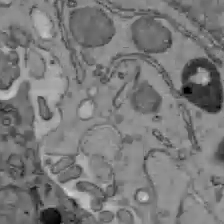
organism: C57BL Mouse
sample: Liver